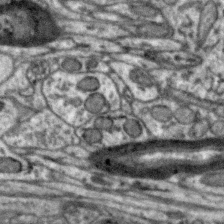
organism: Zebra finch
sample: Brain